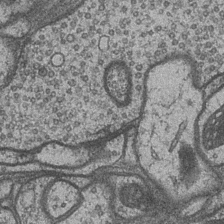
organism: Drosophila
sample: Optic medulla